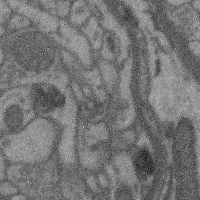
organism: Mouse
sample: Cerebral cortex